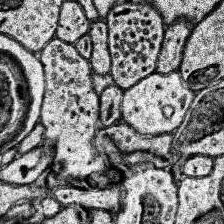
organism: Human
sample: Temporal Lobe